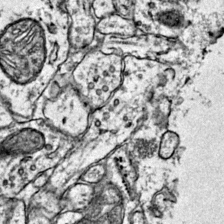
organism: Mouse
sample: Primary visual cortex